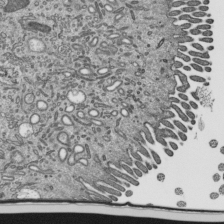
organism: Mouse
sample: Mouse epididymis efferent ductule cilia